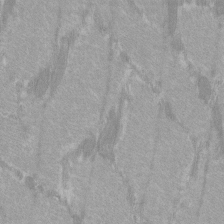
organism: C57BL Mouse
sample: Tibialis anterior muscle cell